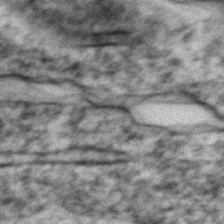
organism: Zebrafish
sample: Zebrafish embryo